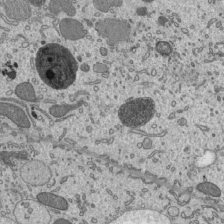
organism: Mouse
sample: Mouse epididymis efferent ductule cilia